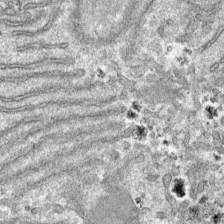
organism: Mouse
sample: Mouse hepatocytes